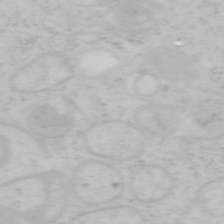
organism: Mouse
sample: OT-I killer T cells with ID8 ovarian cancer cells